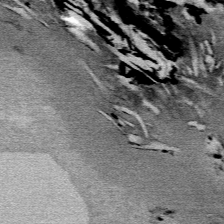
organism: Mouse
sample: Mouse Salivary gland